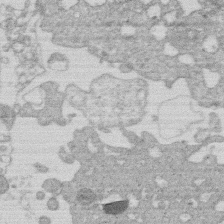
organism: Human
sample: Macrophage cells